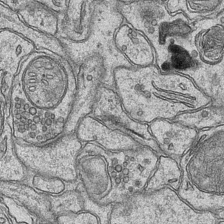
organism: Mouse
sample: CA1 Hippocampus